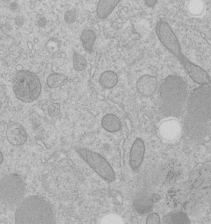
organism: C. elegans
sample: C. elegans embryo early stage